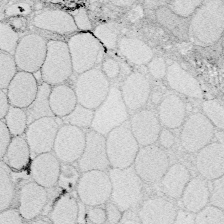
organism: Zebrafish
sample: Whole-Brain